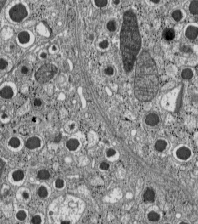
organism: C57BL Mouse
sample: Pancreatic islet